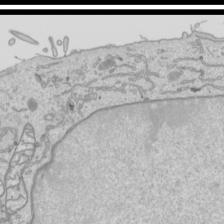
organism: Human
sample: Mitochondria in HCT116 cells